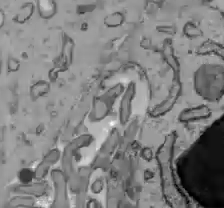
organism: C57BL Mouse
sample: Liver